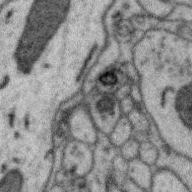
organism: Zebra finch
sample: Brain